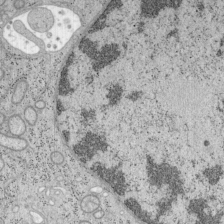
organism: Mouse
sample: OT-I killer T cells with ID8 ovarian cancer cells